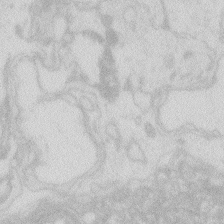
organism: Zebrafish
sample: Macrophage